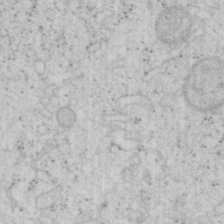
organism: Human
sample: HeLa cells